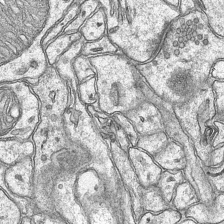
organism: Mouse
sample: CA1 Hippocampus